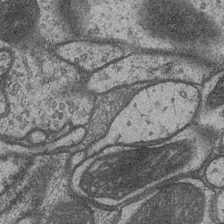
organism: Drosophila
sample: Optic medulla